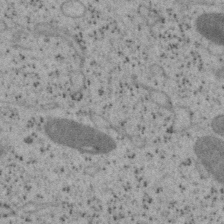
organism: Human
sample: HeLa cells